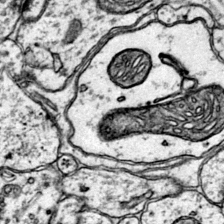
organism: Mouse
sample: Primary visual cortex